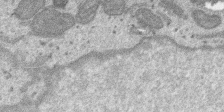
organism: Human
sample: Lung epithelial cells infected with SARS-CoV-2